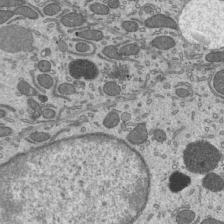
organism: Mouse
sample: Mouse epididymis efferent ductule cilia